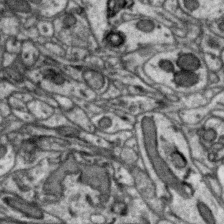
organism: Zebra finch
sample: Brain